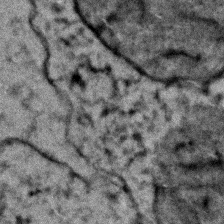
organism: Zebrafish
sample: Zebrafish embryo